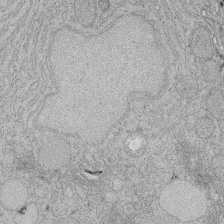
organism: Rat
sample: Salivary granule